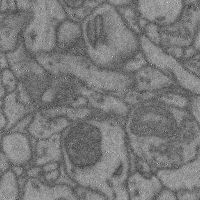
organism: Mouse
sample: Cerebral cortex